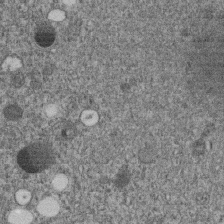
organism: C. elegans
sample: C. elegans embryo early stage